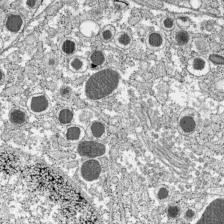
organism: C57BL Mouse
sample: Pancreatic islet